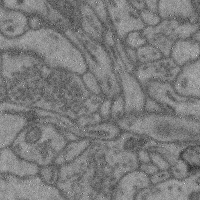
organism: Mouse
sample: Cerebral cortex